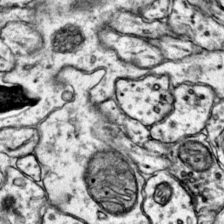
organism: Mouse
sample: Primary visual cortex